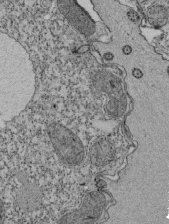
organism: Tetrahymena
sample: Cilia in tetrahymena